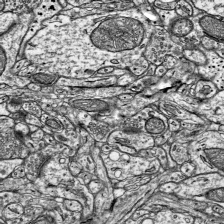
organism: Mouse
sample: Visual Cortex